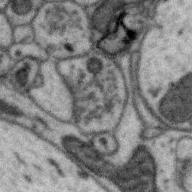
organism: Zebra finch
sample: Brain